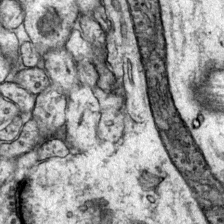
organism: Mouse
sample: Primary visual cortex